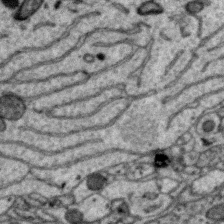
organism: Zebra finch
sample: Brain